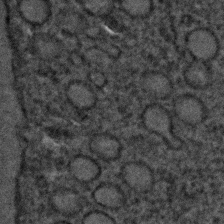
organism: C. elegans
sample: C. elegans embryo